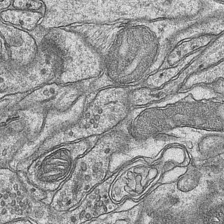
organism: Mouse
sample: CA1 Hippocampus